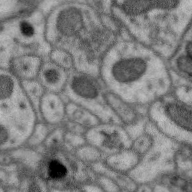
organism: Zebra finch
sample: Brain